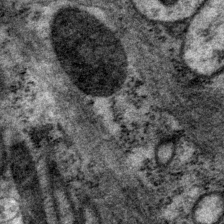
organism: P. pacificus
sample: Pharynx